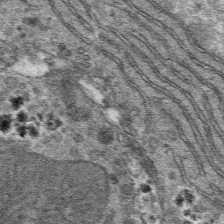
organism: Mouse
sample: Mouse hepatocytes